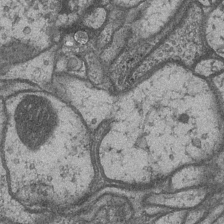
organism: Drosophila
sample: Optic medulla